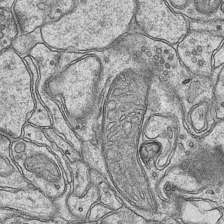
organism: Mouse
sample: CA1 Hippocampus